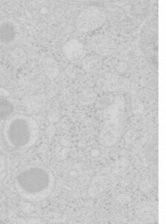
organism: Mouse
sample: Pancreas